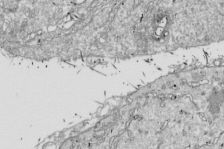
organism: Drosophila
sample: Cell division; meiosis; drosophila spermatocytes